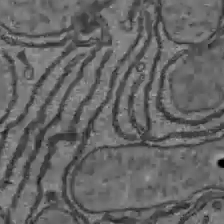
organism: C57BL Mouse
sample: Liver